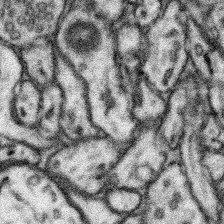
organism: Mouse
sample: Somatosensory cortex neuropil